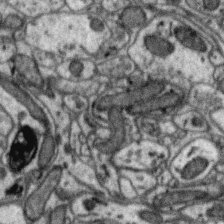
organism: Zebra finch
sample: Brain